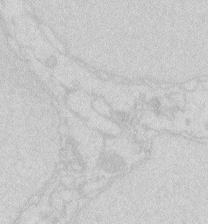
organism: Zebrafish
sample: Macrophage